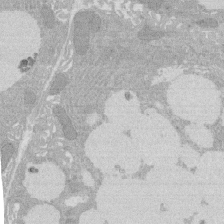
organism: Rat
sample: Salivary granule